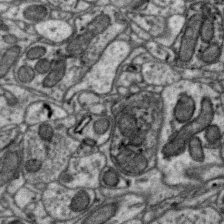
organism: Zebra finch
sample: Brain